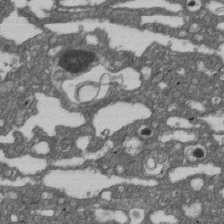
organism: Drosophila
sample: Nephrocyte